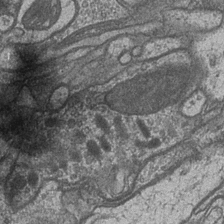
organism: Drosophila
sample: Optic medulla